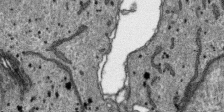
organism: Human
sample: Lung epithelial cells, uninfected (mock) control